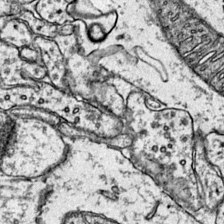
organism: Mouse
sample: Primary visual cortex